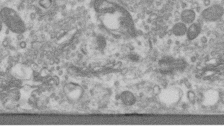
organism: Human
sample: Centriole in RPE cells